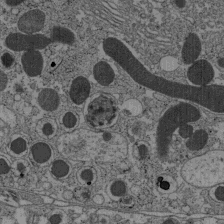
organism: C57BL Mouse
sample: Pancreatic islet